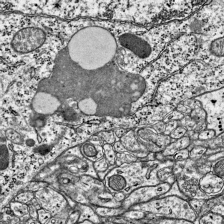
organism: Mouse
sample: Visual Cortex